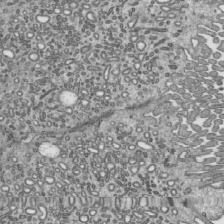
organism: Mouse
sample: Mouse epididymis efferent ductule cilia